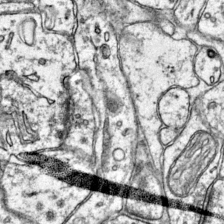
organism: Mouse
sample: Primary visual cortex